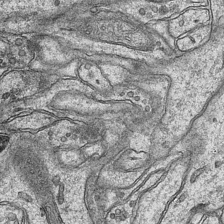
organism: Mouse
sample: CA1 Hippocampus